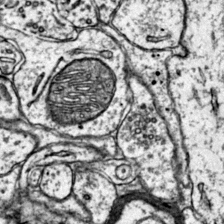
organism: Mouse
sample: Primary visual cortex